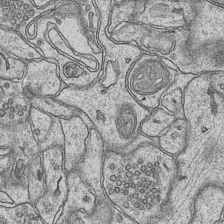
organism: Mouse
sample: CA1 Hippocampus